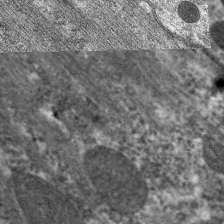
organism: C. elegans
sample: Pharynx